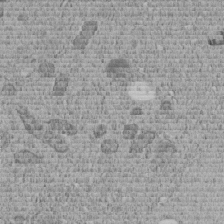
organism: C. elegans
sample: C. elegans embryo early stage